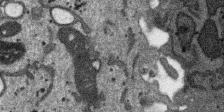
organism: Human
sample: Lung epithelial cells infected with SARS-CoV-2